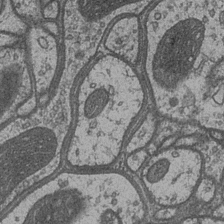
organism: Drosophila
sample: Optic medulla